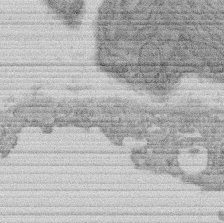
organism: Rat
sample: Salivary granule